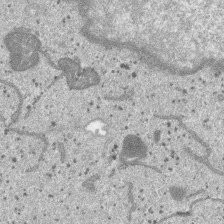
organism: Human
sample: Lung epithelial cells infected with SARS-CoV-2